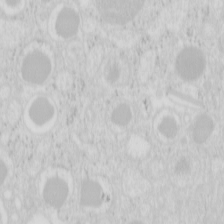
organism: Mouse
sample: Pancreas